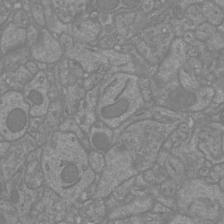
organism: Mouse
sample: Cortical neurons